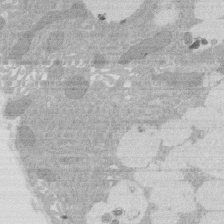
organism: Rat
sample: Salivary granule